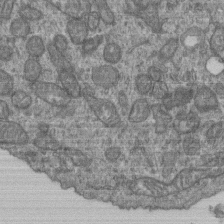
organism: Human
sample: Retinal organoid Rod and Cone cells